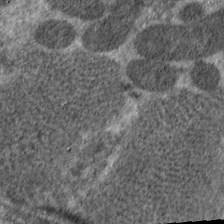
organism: C. elegans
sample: Pharynx